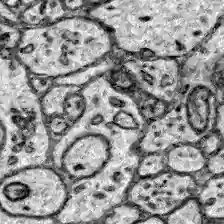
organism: Zebrafish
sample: Brain